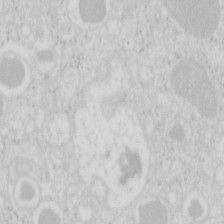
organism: Mouse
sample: Pancreas